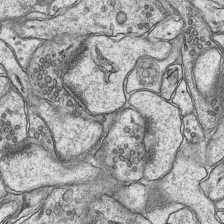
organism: Mouse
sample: CA1 Hippocampus